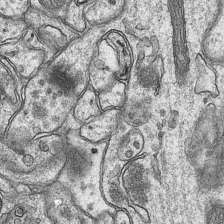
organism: Mouse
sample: CA1 Hippocampus